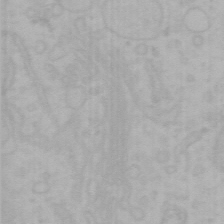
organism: Mouse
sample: Choroid plexus